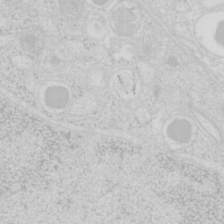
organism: Mouse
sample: Pancreas